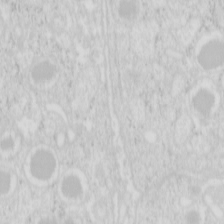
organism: Mouse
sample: Pancreas